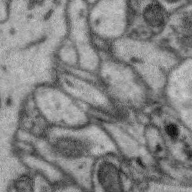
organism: Zebra finch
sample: Brain